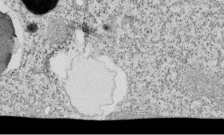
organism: Tetrahymena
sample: Cilia in tetrahymena